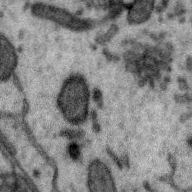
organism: Zebra finch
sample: Brain